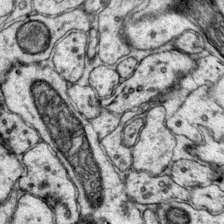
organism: Mouse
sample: Primary visual cortex